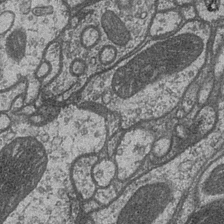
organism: Drosophila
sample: Optic medulla